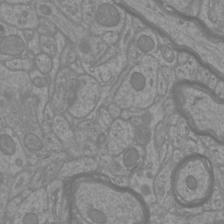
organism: Mouse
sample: Cortical neurons